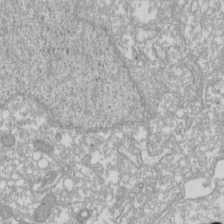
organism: Xenopus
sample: Cilia; centrioles in frog embryo cells